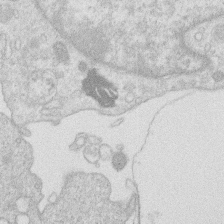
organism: Human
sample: Macrophage cells